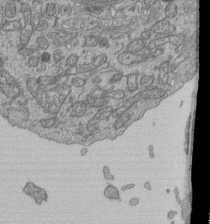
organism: Human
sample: Retinal organoid Rod and Cone cells